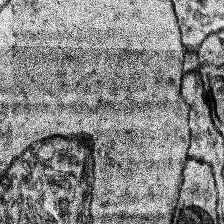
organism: Human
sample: Temporal Lobe